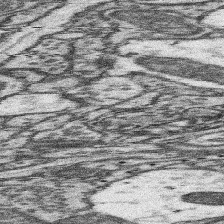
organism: Mouse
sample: Somatosensory cortex neuropil